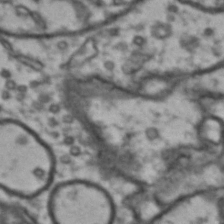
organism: Drosophila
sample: Brain